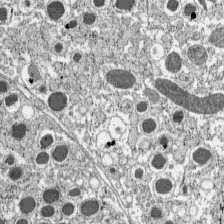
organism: C57BL Mouse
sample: Pancreatic islet